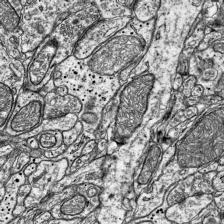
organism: Mouse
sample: Visual Cortex